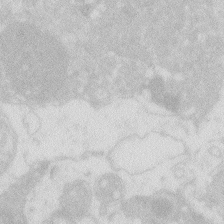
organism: Zebrafish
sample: Macrophage